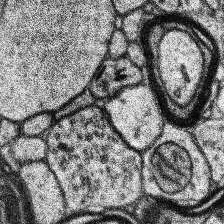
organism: Human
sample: Temporal Lobe